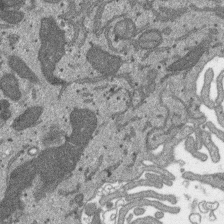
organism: Human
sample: Lung epithelial cells infected with SARS-CoV-2